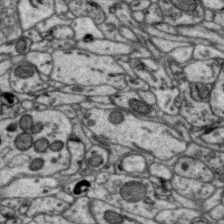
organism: Zebra finch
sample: Brain